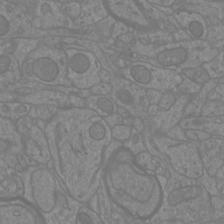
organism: Mouse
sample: Cortical neurons